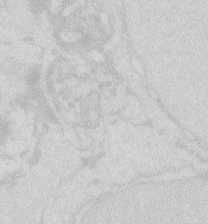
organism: Zebrafish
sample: Macrophage